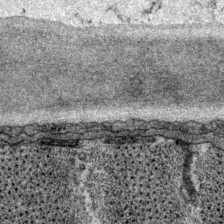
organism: P. pacificus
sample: Pharynx